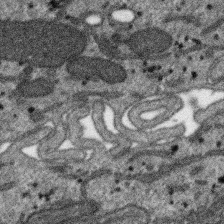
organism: Human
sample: Lung epithelial cells infected with SARS-CoV-2